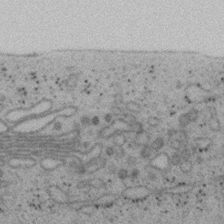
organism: Human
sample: HeLa cells